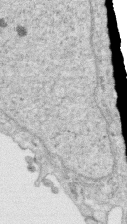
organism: Human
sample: HeLa cell HIV synapse